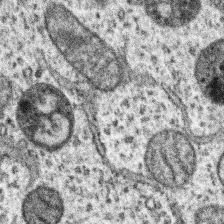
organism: Human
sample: HeLa cells